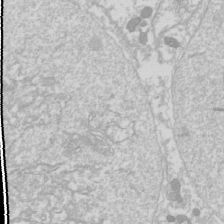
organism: Drosophila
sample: Cell division; meiosis; drosophila spermatocytes